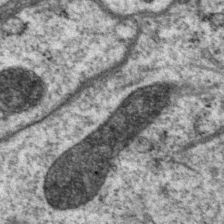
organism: P. pacificus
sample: Pharynx